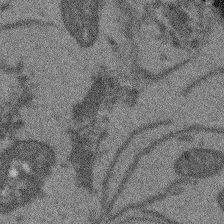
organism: Arabidopsis thaliana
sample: Root tip